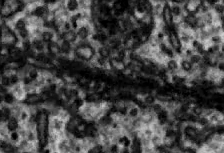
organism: Human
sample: HeLa cells